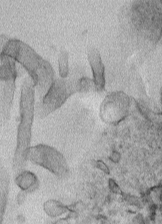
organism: Human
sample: Mitochondria in HCT116 cells